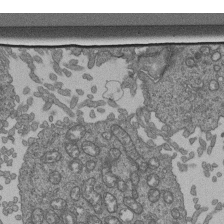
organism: Human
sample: Retinal organoid Rod and Cone cells